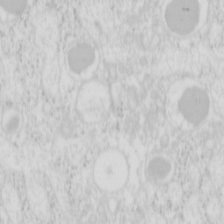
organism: Mouse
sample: Pancreas